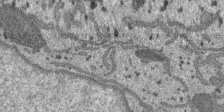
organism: Human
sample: Lung epithelial cells infected with SARS-CoV-2